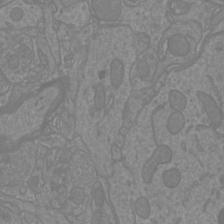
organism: Mouse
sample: Cortical neurons